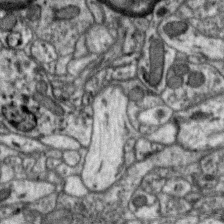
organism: Zebra finch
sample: Brain